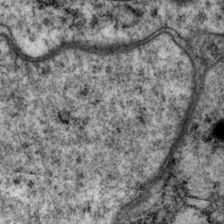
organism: P. pacificus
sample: Pharynx